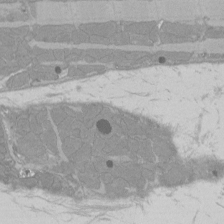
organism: Rat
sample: Left ventricle